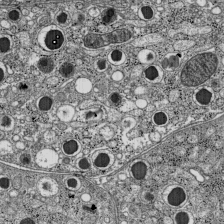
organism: C57BL Mouse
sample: Pancreatic islet